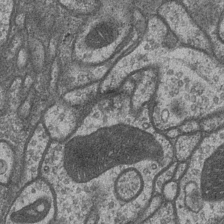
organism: Drosophila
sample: Optic medulla